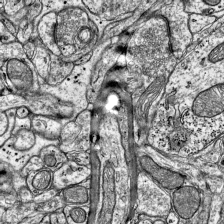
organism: Mouse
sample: Visual Cortex